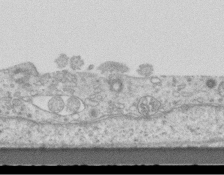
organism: Mouse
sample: Centriole in ependymal cells